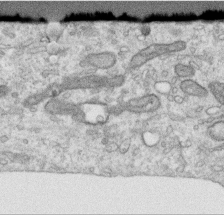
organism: Human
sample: Centriole in RPE cells